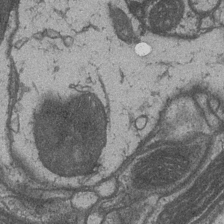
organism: Drosophila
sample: Optic medulla